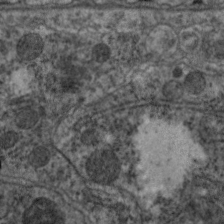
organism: C. elegans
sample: Pharynx